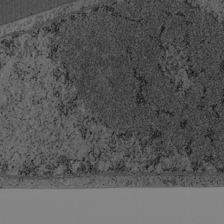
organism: African green monkey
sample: COS-7 cells